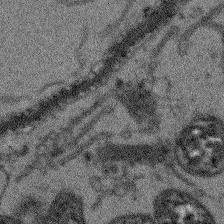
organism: Arabidopsis thaliana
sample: Root tip